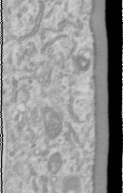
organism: Human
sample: Cilia; basal body in RPE cells